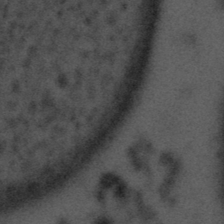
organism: Tuwongella immobilis